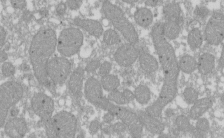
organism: Xenopus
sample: Cilia; centrioles in frog embryo cells